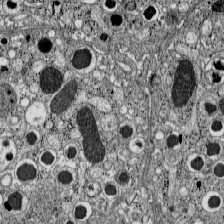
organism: C57BL Mouse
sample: Pancreatic islet